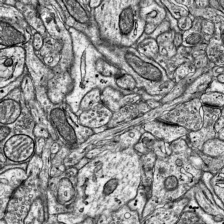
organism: Mouse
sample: Visual Cortex